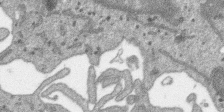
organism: Human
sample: Lung epithelial cells infected with SARS-CoV-2